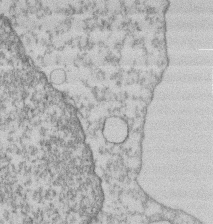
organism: Mouse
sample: T cell stromal cell synapse